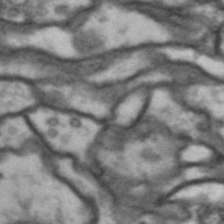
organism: Drosophila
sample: Brain